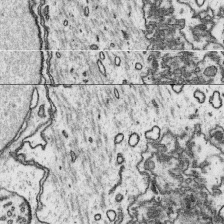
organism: Platynereis dumerilii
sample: Parapodia